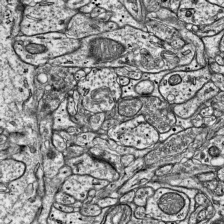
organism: Mouse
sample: Visual Cortex